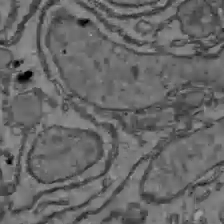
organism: C57BL Mouse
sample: Liver